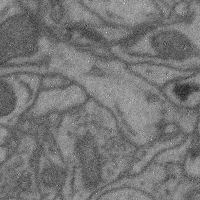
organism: Mouse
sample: Cerebral cortex